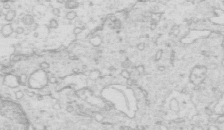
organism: Mouse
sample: Multiciliated cells